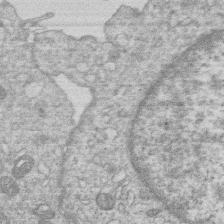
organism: Human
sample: Macrophage cells